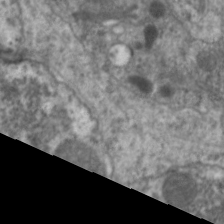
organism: C. elegans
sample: Pharynx